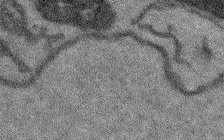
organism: Arabidopsis thaliana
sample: Root tip